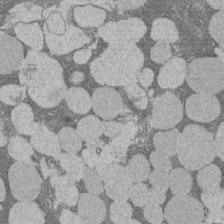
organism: Rat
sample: Salivary granule